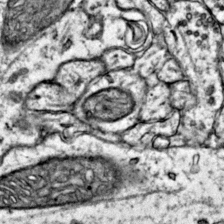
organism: Mouse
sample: Primary visual cortex